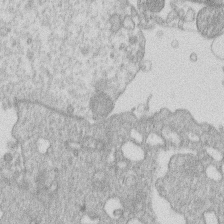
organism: Human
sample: Macrophage cells